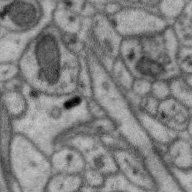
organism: Zebra finch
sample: Brain